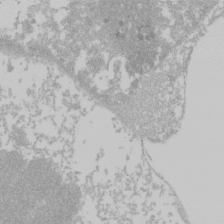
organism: Mouse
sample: Cancer cell death in ED-1 cells